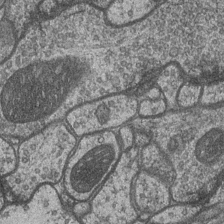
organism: Drosophila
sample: Optic medulla